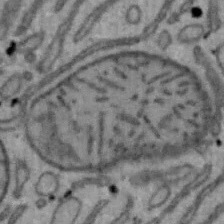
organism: Mouse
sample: Liver